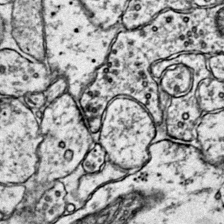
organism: Mouse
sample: Primary visual cortex